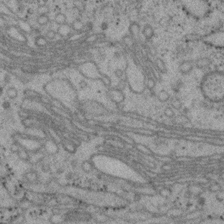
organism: Human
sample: HeLa cells